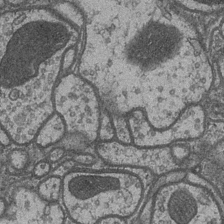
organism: Drosophila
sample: Optic medulla